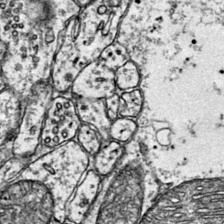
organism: Mouse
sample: Primary visual cortex